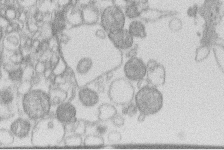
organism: Human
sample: Macrophage cells